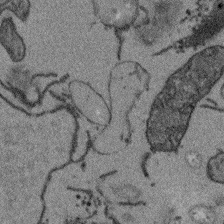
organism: Arabidopsis thaliana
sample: Root tip